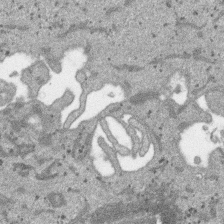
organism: Human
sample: Lung epithelial cells infected with SARS-CoV-2